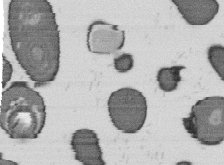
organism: B. subtilis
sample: Bacterial spore